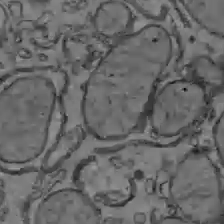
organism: C57BL Mouse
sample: Liver